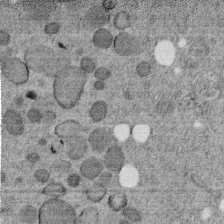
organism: C. elegans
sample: C. elegans embryo early stage